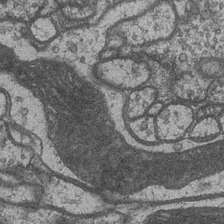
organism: Drosophila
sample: Optic medulla